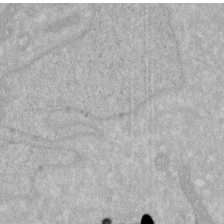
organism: Human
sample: HIV infected U937 cells